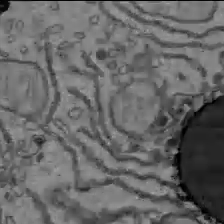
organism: C57BL Mouse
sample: Liver